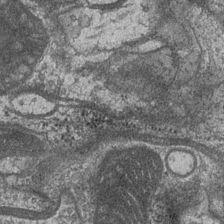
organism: Drosophila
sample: Optic medulla